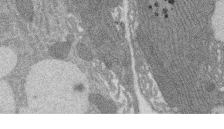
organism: Rat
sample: Salivary granule